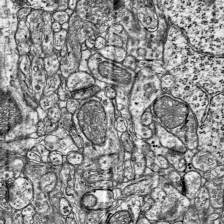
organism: Mouse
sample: Visual Cortex